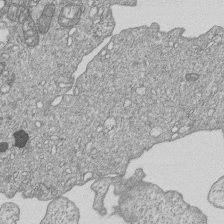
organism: Human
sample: MDA-MB-231 cells